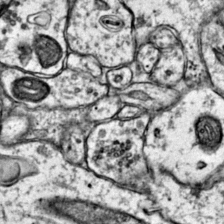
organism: Mouse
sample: Primary visual cortex